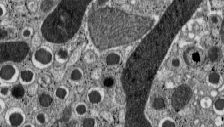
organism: C57BL Mouse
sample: Pancreatic islet